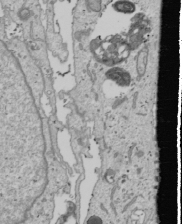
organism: Human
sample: Mitochondria in U2OS cells